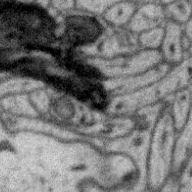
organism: Zebra finch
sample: Brain